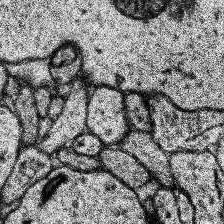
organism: Human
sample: Temporal Lobe